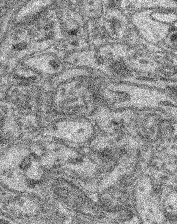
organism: Mouse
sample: Retina